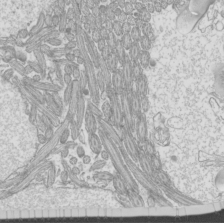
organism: Mouse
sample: Cilia; mouse epididymis